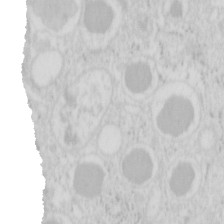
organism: Mouse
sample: Pancreas